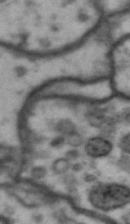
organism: Drosophila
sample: Brain